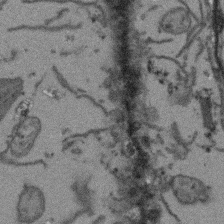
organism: Arabidopsis thaliana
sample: Root tip